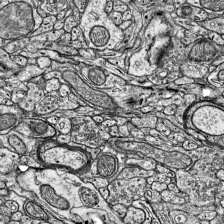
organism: Mouse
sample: Visual Cortex